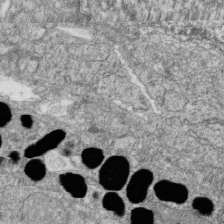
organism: Zebrafish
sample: Cilia; retinal pigment epithelium